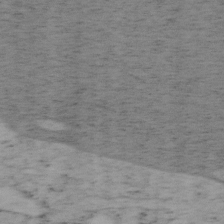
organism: Mouse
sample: OT-I killer T cells with ID8 ovarian cancer cells